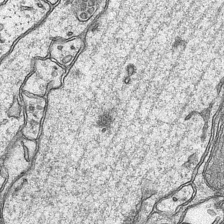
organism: Mouse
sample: CA1 Hippocampus